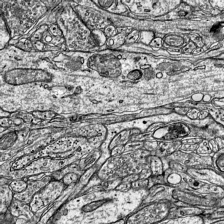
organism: Mouse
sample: Visual Cortex